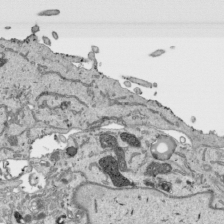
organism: Human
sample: Mitochondria in HCT116 cells